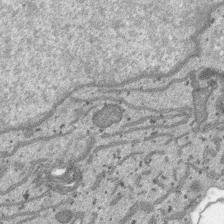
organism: Human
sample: Lung epithelial cells infected with SARS-CoV-2